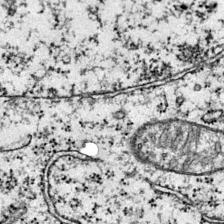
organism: Mouse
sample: Primary visual cortex